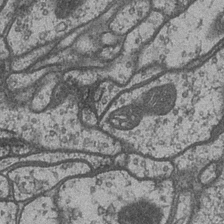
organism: Drosophila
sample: Optic medulla